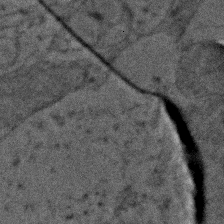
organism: Zebrafish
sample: Zebrafish embryo